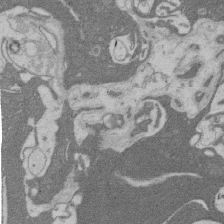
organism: Rat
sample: Salivary granule